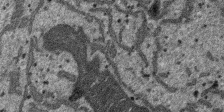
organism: Human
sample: Lung epithelial cells infected with SARS-CoV-2